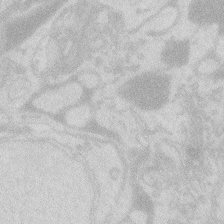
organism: Zebrafish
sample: Macrophage